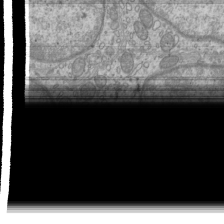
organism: Mouse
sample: Cilia; mouse epididymis